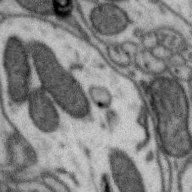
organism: Zebra finch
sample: Brain